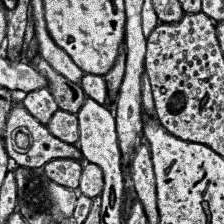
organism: Human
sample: Temporal Lobe